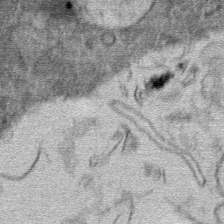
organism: Mouse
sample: Mouse hepatocytes